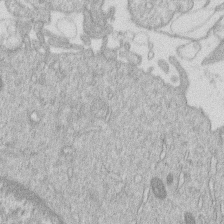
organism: Human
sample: Macrophage cells